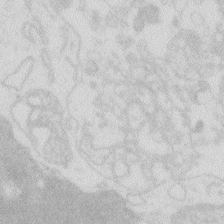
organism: Zebrafish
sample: Macrophage